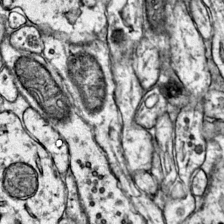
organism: Mouse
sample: Primary visual cortex